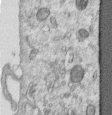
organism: Human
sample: Centriole in RPE cells